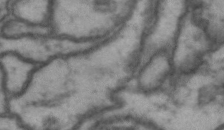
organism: Drosophila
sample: Brain